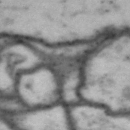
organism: Drosophila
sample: Brain